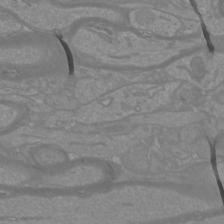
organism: Mouse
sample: Cortical neurons